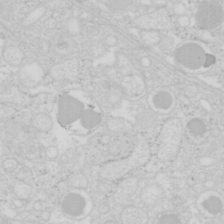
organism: Mouse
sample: Pancreas